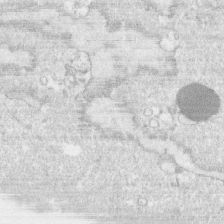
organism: Human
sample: CRL-1474